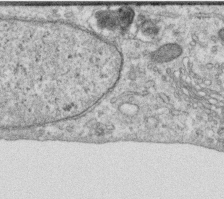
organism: Human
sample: Centriole in RPE cells